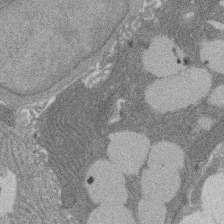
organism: Rat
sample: Salivary granule